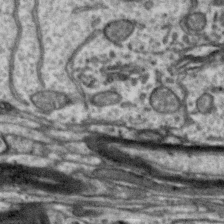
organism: Zebra finch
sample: Brain